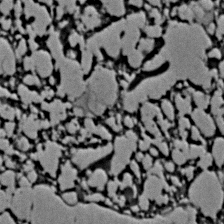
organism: C. elegans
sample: C. elegans embryo